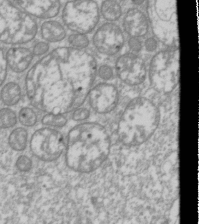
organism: Drosophila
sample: Cell division; meiosis; drosophila spermatocytes